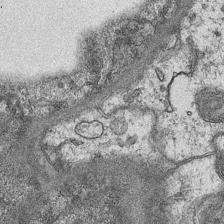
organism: Mouse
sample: CA1 Hippocampus